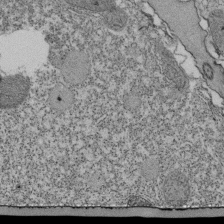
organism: Tetrahymena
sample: Cilia in tetrahymena